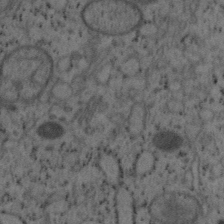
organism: Human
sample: HeLa cells